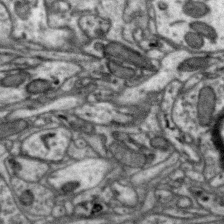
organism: Zebra finch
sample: Brain